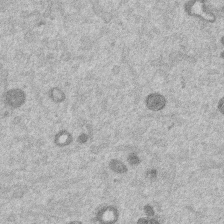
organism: Mouse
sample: Dividing mouse embryo 1 cell stage